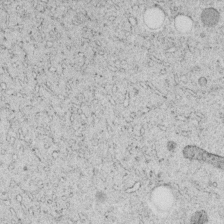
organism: C. elegans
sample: C. elegans embryo early stage